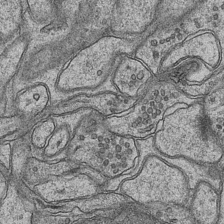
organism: Mouse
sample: CA1 Hippocampus